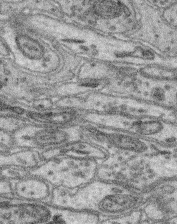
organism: Mouse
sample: Retina